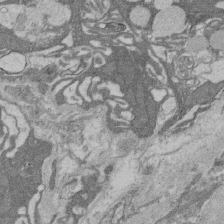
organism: Rat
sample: Salivary granule